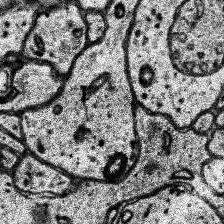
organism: Human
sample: Temporal Lobe